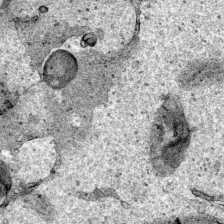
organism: Human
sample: Mitochondria in HCT116 cells